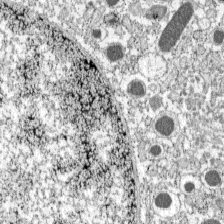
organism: C57BL Mouse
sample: Pancreatic islet